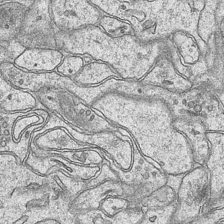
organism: Mouse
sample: CA1 Hippocampus